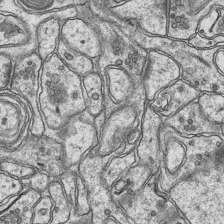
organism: Mouse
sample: CA1 Hippocampus